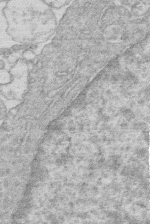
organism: Human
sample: Macrophage cells